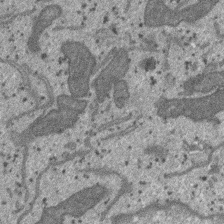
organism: Human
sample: Lung epithelial cells infected with SARS-CoV-2